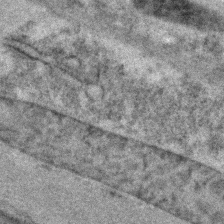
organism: C. elegans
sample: C. elegans embryo